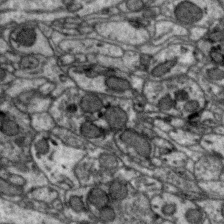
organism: Zebra finch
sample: Brain